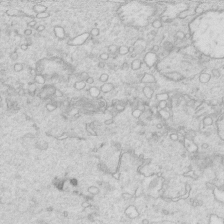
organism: Mouse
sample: Multiciliated cells